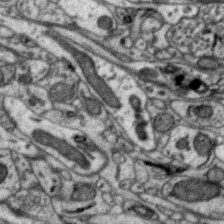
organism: Zebra finch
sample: Brain